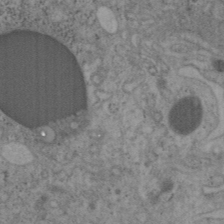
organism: Mouse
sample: OT-I killer T cells with ID8 ovarian cancer cells